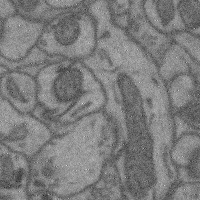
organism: Mouse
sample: Cerebral cortex